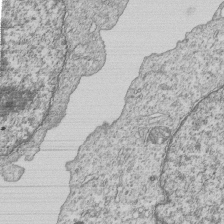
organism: Human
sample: MDA-MB-231 cells